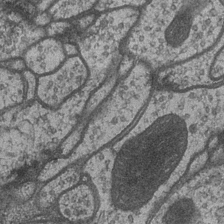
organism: Drosophila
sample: Optic medulla